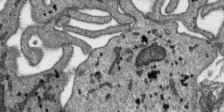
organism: Human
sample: Lung epithelial cells, uninfected (mock) control